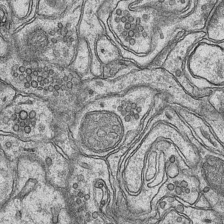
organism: Mouse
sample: CA1 Hippocampus